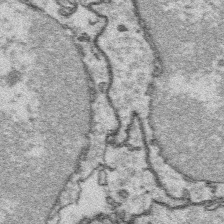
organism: Platynereis dumerilii